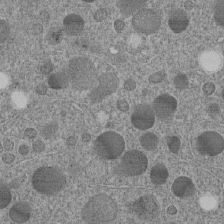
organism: C. elegans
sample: C. elegans embryo early stage